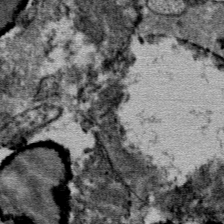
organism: Mouse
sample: Mouse Salivary gland